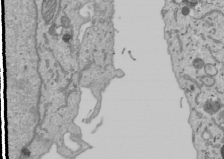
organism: Human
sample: Mitochondria in U2OS cells